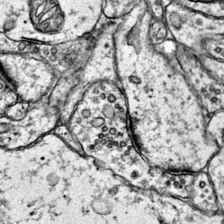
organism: Mouse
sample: Primary visual cortex